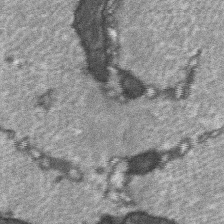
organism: C57BL Mouse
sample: Soleus